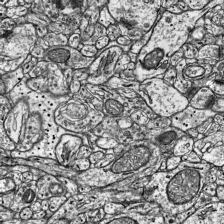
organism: Mouse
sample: Visual Cortex